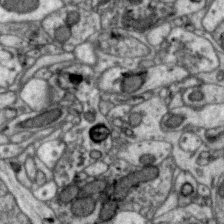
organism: Zebra finch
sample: Brain